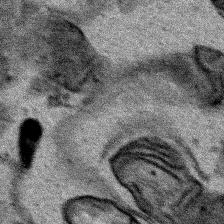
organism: Human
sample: Mitochondria in HCT116 cells